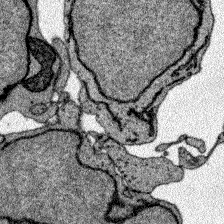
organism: Zebrafish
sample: Larval olfactory bulb